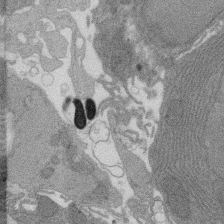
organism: Rat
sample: Salivary granule